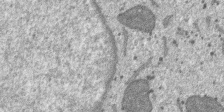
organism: Human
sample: Lung epithelial cells infected with SARS-CoV-2